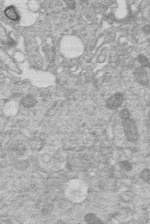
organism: Human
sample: Macrophage cells